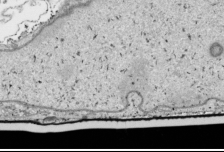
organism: Human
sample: Mitochondria in HCT116 cells